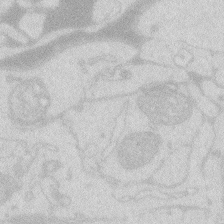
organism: Zebrafish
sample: Macrophage